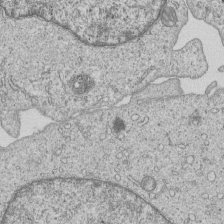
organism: Human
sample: MDA-MB-231 cells